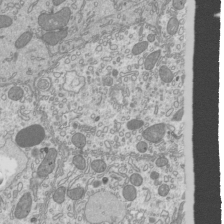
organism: Mouse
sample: Cilia; mouse epididymis